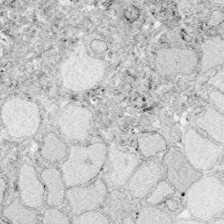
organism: Zebrafish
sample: Whole-Brain